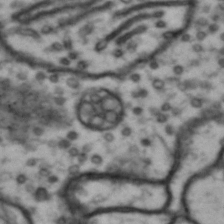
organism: Drosophila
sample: Brain